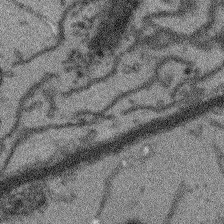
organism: Arabidopsis thaliana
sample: Root tip